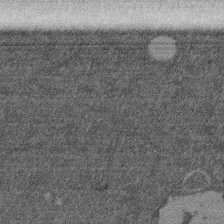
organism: Mouse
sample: Dividing mouse embryo 1 cell stage